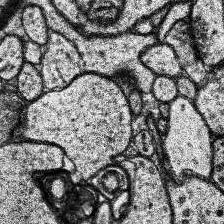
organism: Human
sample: Temporal Lobe